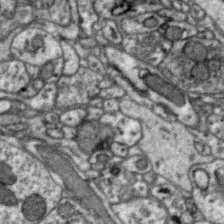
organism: Zebra finch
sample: Brain